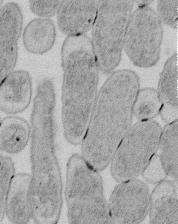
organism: E. coli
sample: Bacterial nucleoid